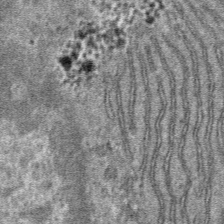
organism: Mouse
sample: Mouse hepatocytes